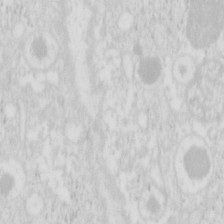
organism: Mouse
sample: Pancreas